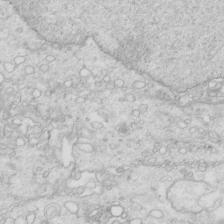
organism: Mouse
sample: Multiciliated cells